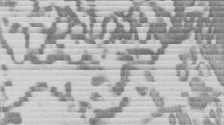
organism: Mouse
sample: Dividing mouse embryo 1 cell stage